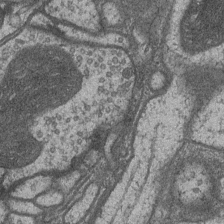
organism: Drosophila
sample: Optic medulla